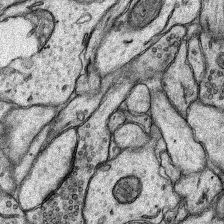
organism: Rat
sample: Hippocampus